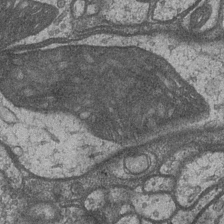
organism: Drosophila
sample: Optic medulla